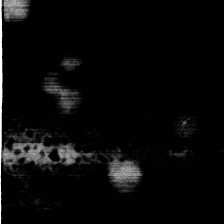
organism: Mouse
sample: Dividing mouse embryo 1 cell stage